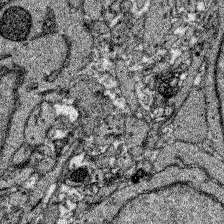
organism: Zebrafish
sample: Larval olfactory bulb